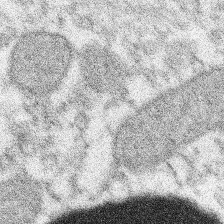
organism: Xenopus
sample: Cilia; centrioles in frog embryo cells